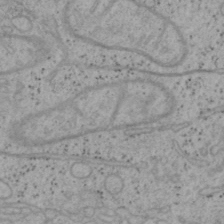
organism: Human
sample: HeLa cells